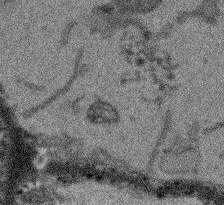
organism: Arabidopsis thaliana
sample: Root tip